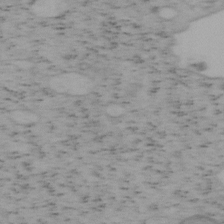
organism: Mouse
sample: OT-I killer T cells with ID8 ovarian cancer cells